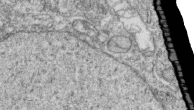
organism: Human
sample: HeLa cell HIV synapse